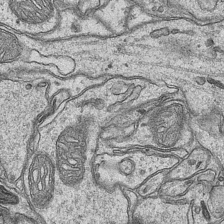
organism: Mouse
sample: CA1 Hippocampus